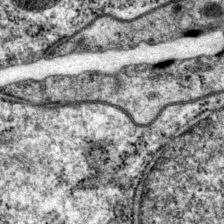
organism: P. pacificus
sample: Pharynx